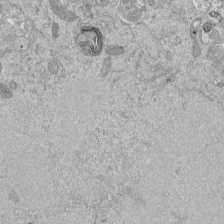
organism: Mouse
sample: ED-1 cell nuclei; centrioles